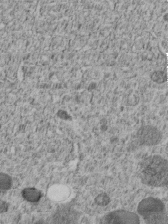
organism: C. elegans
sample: C. elegans embryo early stage